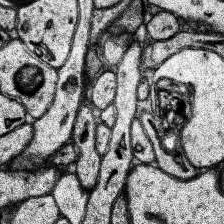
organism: Human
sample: Temporal Lobe